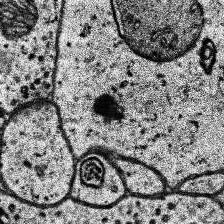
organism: Human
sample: Temporal Lobe